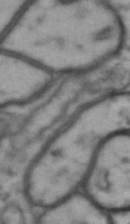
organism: Drosophila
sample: Brain